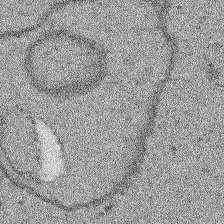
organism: Human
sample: HeLa cells